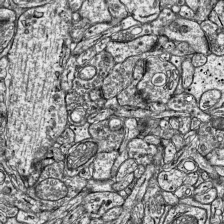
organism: Mouse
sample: Visual Cortex